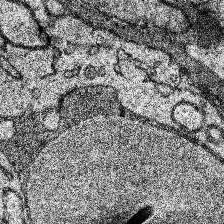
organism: Human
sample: Temporal Lobe